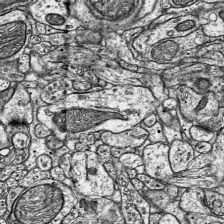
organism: Mouse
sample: Visual Cortex